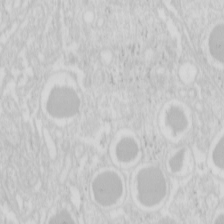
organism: Mouse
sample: Pancreas